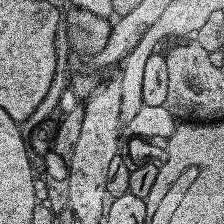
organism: Human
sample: Temporal Lobe